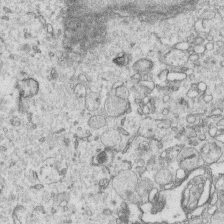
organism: Human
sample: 1205lu cells